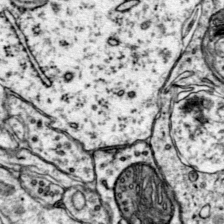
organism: Mouse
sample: Primary visual cortex